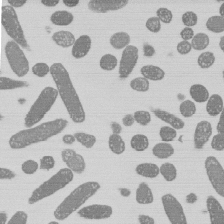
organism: E. coli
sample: Bacterial nucleoid